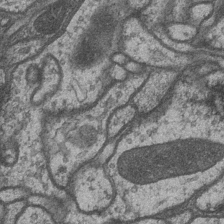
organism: Drosophila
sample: Optic medulla